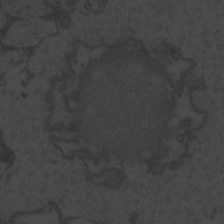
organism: Zebrafish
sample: Macrophage infected with Toxoplasma gondii